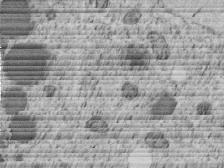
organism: C. elegans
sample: C. elegans embryo early stage